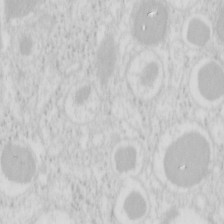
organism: Mouse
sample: Pancreas